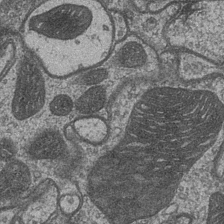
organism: Drosophila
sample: Optic medulla